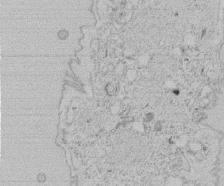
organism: Tetrahymena